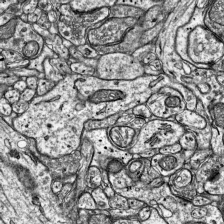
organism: Mouse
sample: Visual Cortex